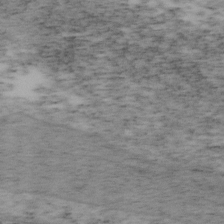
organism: Mouse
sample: OT-I killer T cells with ID8 ovarian cancer cells